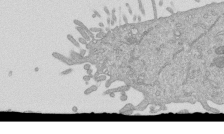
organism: Mouse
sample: ED-1 cell nuclei; centrioles